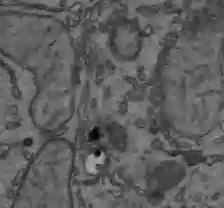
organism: C57BL Mouse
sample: Liver